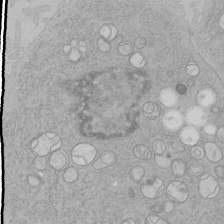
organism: Human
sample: Mitochondria in HCT116 cells